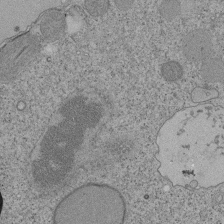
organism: Tetrahymena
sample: Cilia in tetrahymena